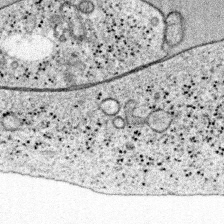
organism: Human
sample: HeLa cells